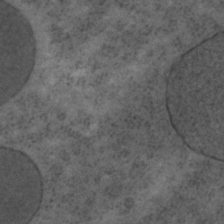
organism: C. elegans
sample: C. elegans embryo